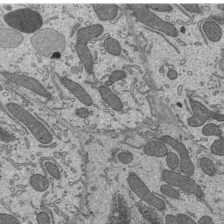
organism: Mouse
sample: Mouse epididymis efferent ductule cilia